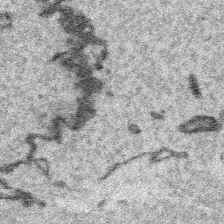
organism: Platynereis dumerilii